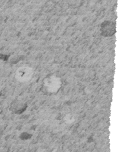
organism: C. elegans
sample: C. elegans embryo early stage